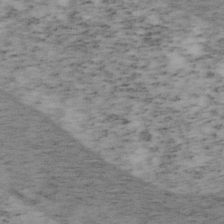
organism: Mouse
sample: OT-I killer T cells with ID8 ovarian cancer cells